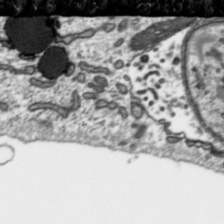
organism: Toxoplasma gondii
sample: Parasites in a vacuole inside a host cell